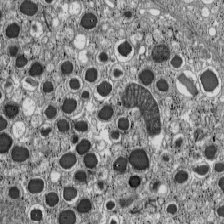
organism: C57BL Mouse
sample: Pancreatic islet